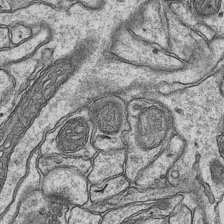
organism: Mouse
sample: CA1 Hippocampus